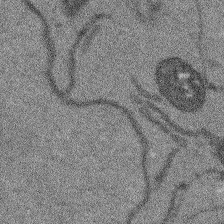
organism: Arabidopsis thaliana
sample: Root tip